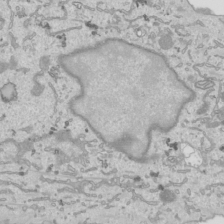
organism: Human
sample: Mitochondria in HCT116 cells